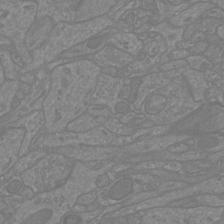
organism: Mouse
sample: Cortical neurons